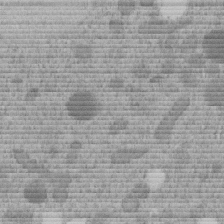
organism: C. elegans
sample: C. elegans embryo early stage